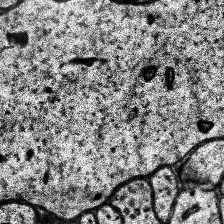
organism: Human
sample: Temporal Lobe